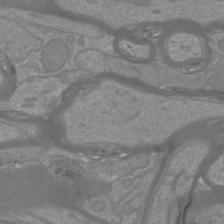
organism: Mouse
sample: Cortical neurons